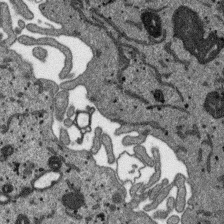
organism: Human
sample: Lung epithelial cells infected with SARS-CoV-2